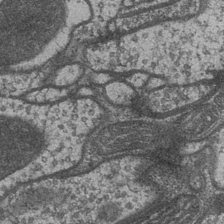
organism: Drosophila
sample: Optic medulla